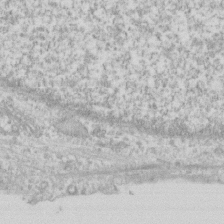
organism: Human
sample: Fibroblast cells